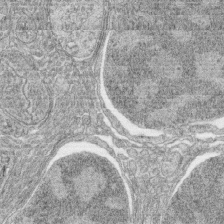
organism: Zebrafish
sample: synaptic ribbons in rod cells and cone cells